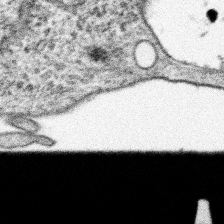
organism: Human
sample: HeLa cells